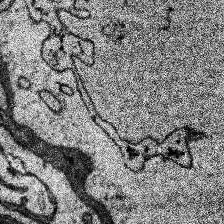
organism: Human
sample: Temporal Lobe